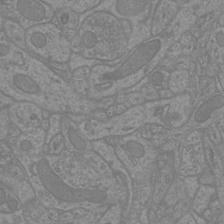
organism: Mouse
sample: Cortical neurons